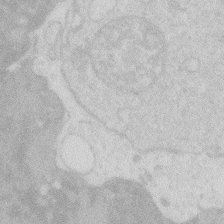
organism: Zebrafish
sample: Macrophage